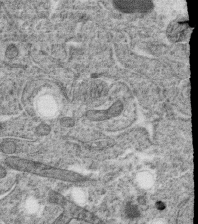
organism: C. elegans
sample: C. elegans oocyte; sperm cells